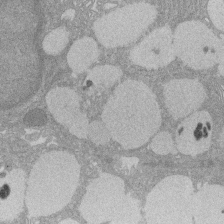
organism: Rat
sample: Salivary granule